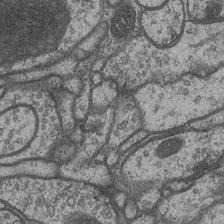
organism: Drosophila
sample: Optic medulla